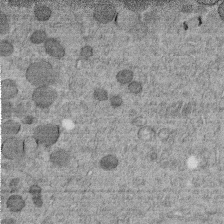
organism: C. elegans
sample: C. elegans embryo early stage